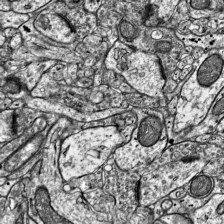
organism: Mouse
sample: Visual Cortex